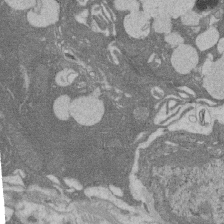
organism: Rat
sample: Salivary granule